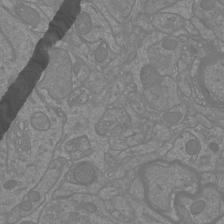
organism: Mouse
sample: Cortical neurons